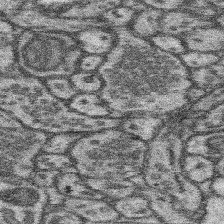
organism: Mouse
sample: Somatosensory cortex neuropil